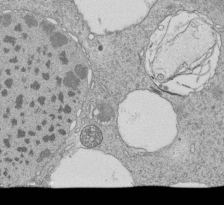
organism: Tetrahymena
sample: Cilia in tetrahymena